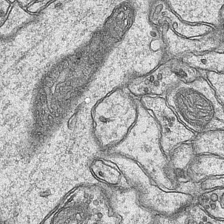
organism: Mouse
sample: CA1 Hippocampus